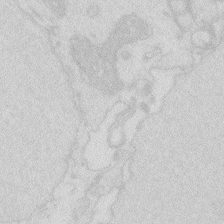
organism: Zebrafish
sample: Macrophage